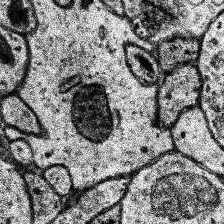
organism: Human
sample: Temporal Lobe